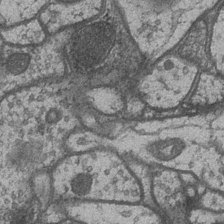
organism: Drosophila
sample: Optic medulla